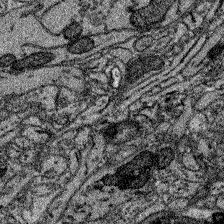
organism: Zebrafish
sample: Larval olfactory bulb